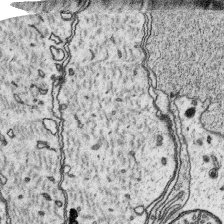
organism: Platynereis dumerilii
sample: Parapodia